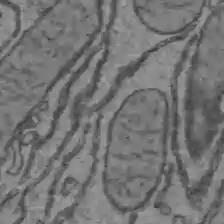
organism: C57BL Mouse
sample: Liver